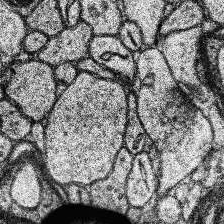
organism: Human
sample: Temporal Lobe